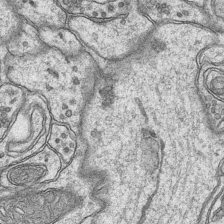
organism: Mouse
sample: CA1 Hippocampus